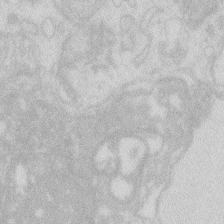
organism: Zebrafish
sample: Macrophage